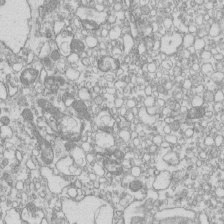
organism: Mouse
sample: Macrophages